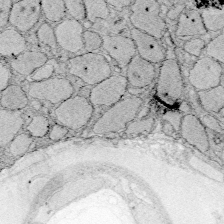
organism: Zebrafish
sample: Whole-Brain